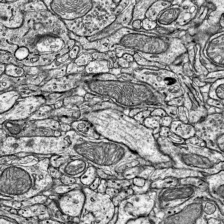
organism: Mouse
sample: Visual Cortex